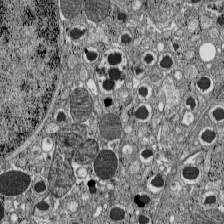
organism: C57BL Mouse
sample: Pancreatic islet